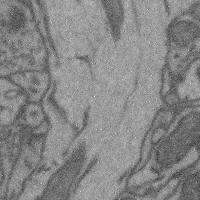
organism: Mouse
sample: Cerebral cortex